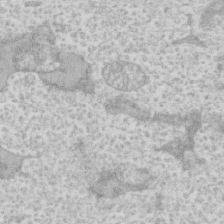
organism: Human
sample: Fibroblast cells